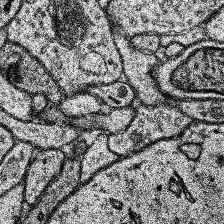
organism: Human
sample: Temporal Lobe